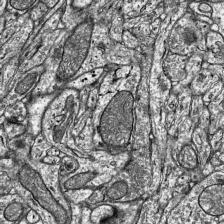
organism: Mouse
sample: Visual Cortex